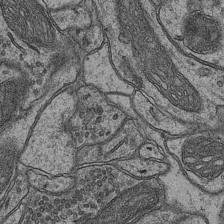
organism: Mouse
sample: CA1 Hippocampus